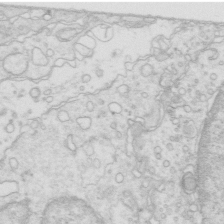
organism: Mouse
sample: Multiciliated cells